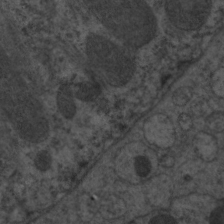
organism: C. elegans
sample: Pharynx